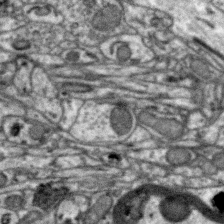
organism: Zebra finch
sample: Brain